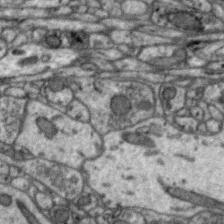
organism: Zebra finch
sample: Brain